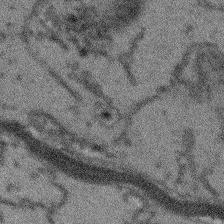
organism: Arabidopsis thaliana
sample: Root tip